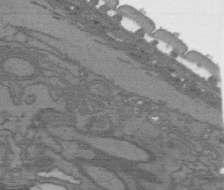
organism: C. elegans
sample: AFD neurons C. elegans